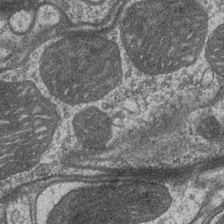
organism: Drosophila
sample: Optic medulla